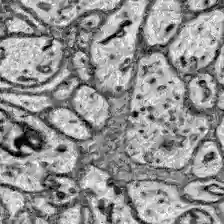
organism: Zebrafish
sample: Brain